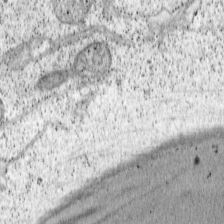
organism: African green monkey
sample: COS-7 cells